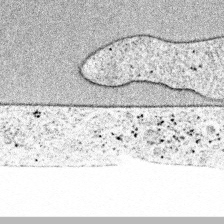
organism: Human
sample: HeLa cells